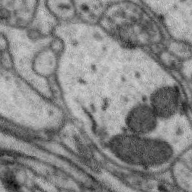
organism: Zebra finch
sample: Brain